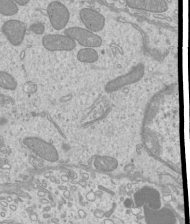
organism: Mouse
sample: Cilia; mouse epididymis